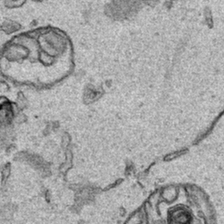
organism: Human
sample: Mitochondria in HCT116 cells